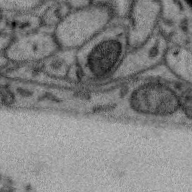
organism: Zebra finch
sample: Brain